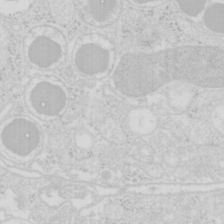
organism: Mouse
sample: Pancreas